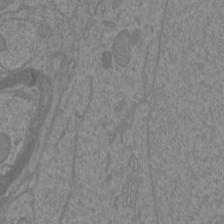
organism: Mouse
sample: Cortical neurons